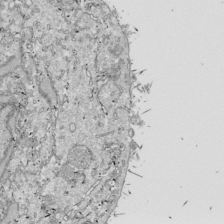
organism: Drosophila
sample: Cell division; meiosis; drosophila spermatocytes